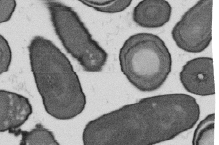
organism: B. subtilis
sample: Bacterial spore